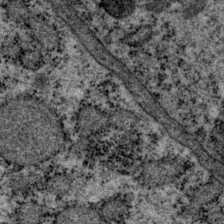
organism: P. pacificus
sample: Pharynx